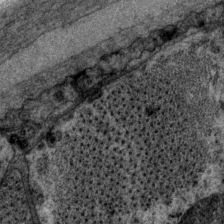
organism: P. pacificus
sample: Pharynx